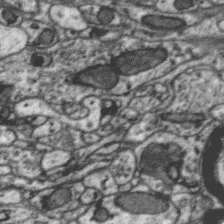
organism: Zebra finch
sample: Brain